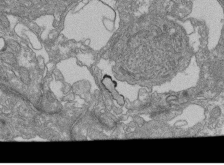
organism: Human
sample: Retinal organoid Rod and Cone cells